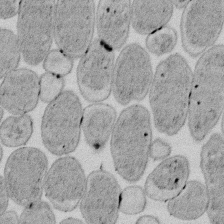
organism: E. coli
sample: Bacterial nucleoid